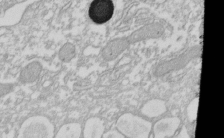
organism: Xenopus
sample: Cilia; centrioles in frog embryo cells